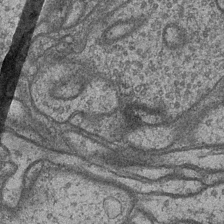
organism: Drosophila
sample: Optic medulla